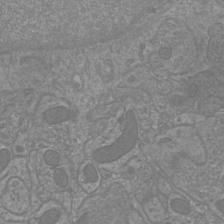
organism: Mouse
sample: Cortical neurons